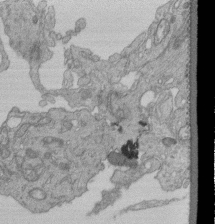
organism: Human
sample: Retinal organoid Rod and Cone cells